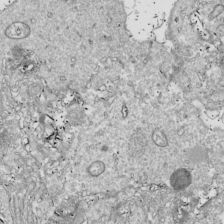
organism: Drosophila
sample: Cell division; meiosis; drosophila spermatocytes